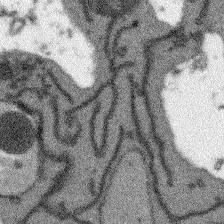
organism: Arabidopsis thaliana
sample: Root tip